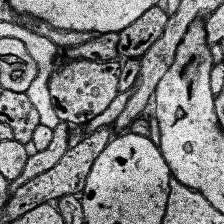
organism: Human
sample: Temporal Lobe